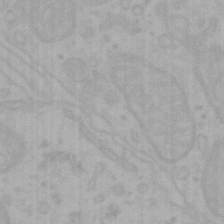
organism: Mouse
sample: Choroid plexus